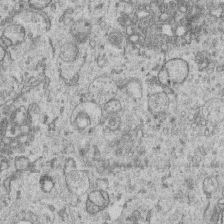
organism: Human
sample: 1205lu cells